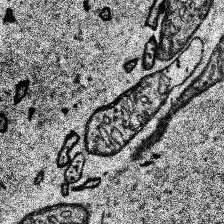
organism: Human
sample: Temporal Lobe